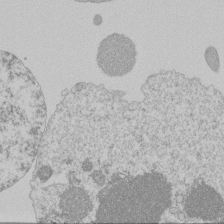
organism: Mouse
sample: Activated Pmel transgenic CD8+ T Cells